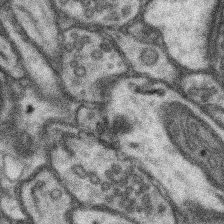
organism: Mouse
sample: Somatosensory cortex neuropil